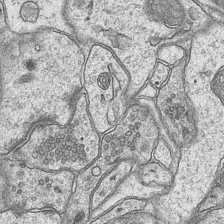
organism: Mouse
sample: CA1 Hippocampus